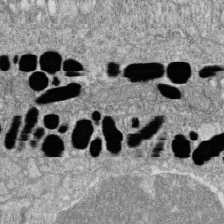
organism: Zebrafish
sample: Cilia; retinal pigment epithelium